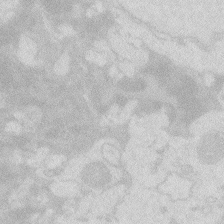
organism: Zebrafish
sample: Macrophage